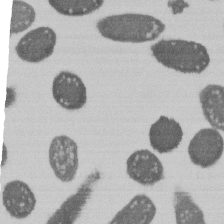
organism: E. coli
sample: Bacterial nucleoid